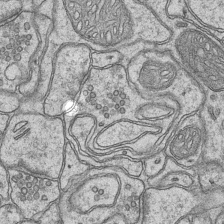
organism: Mouse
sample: CA1 Hippocampus